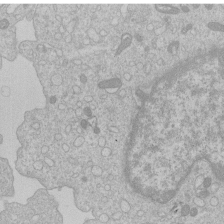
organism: Human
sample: Macrophage cells